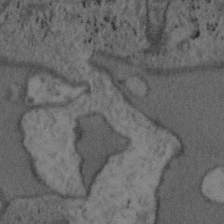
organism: Human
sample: HeLa cells